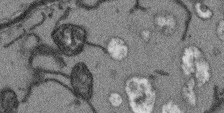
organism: Arabidopsis thaliana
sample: Root tip